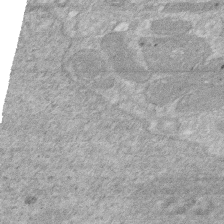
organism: Human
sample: HIV infected U937 cells